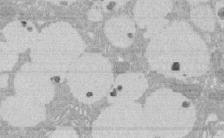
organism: Rat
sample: Salivary granule